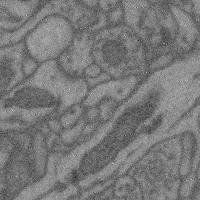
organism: Mouse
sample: Cerebral cortex